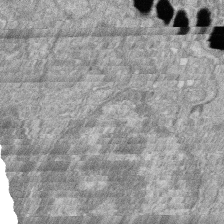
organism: Zebrafish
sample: Cilia; retinal pigment epithelium